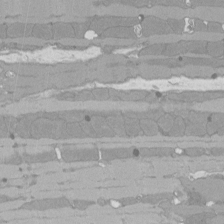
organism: Rat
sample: Left ventricle